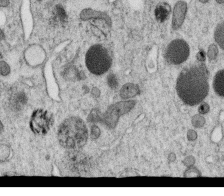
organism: C. elegans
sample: C. elegans oocyte; sperm cells